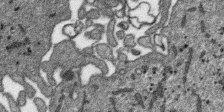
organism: Human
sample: Lung epithelial cells infected with SARS-CoV-2